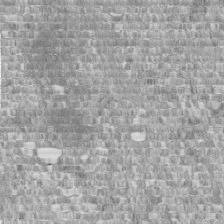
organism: Human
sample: Centriole in fibroblast cells